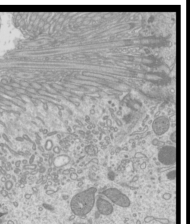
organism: Mouse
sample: Cilia; mouse epididymis